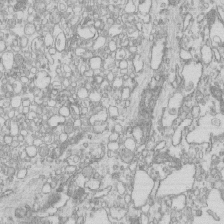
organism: Mouse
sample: Macrophages